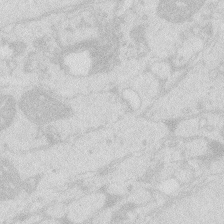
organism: Zebrafish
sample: Macrophage